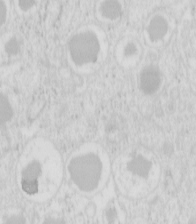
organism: Mouse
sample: Pancreas